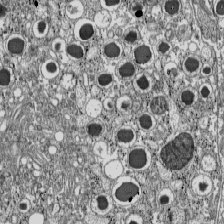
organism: C57BL Mouse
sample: Pancreatic islet